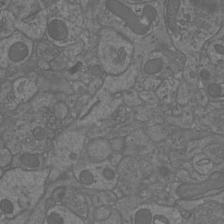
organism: Mouse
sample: Cortical neurons